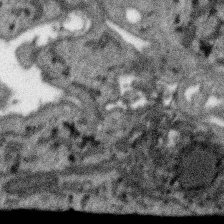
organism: Human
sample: Lung epithelial cells infected with SARS-CoV-2